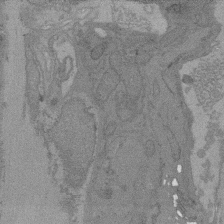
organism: C. elegans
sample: AFD neurons C. elegans